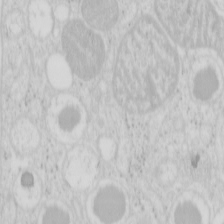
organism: Mouse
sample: Pancreas